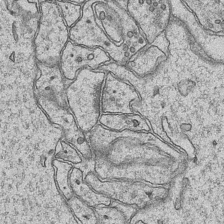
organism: Mouse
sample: CA1 Hippocampus